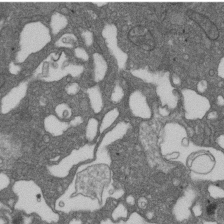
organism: Drosophila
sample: Nephrocyte